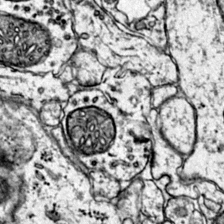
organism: Mouse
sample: Primary visual cortex